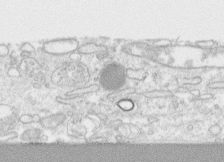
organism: Human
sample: CRL-1474